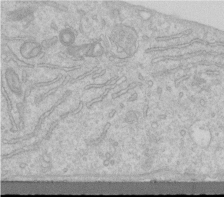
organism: Human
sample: Centriole in RPE cells